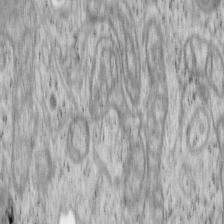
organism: Human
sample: HeLa cells